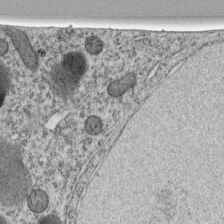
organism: C. elegans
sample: C. elegans embryo early stage